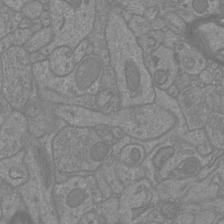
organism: Mouse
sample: Cortical neurons